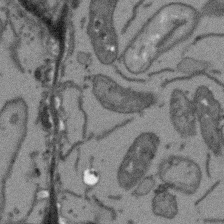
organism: Arabidopsis thaliana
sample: Root tip